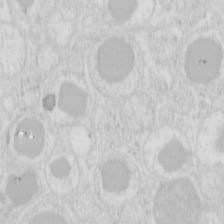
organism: Mouse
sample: Pancreas